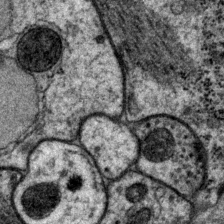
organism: P. pacificus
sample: Pharynx